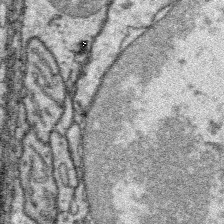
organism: Platynereis dumerilii